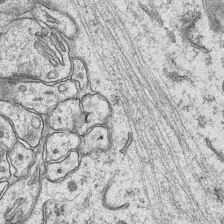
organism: Mouse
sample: CA1 Hippocampus